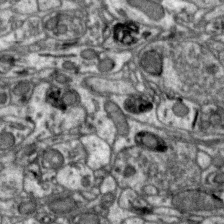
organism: Zebra finch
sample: Brain